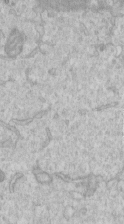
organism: Human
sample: Centriole in RPE cells